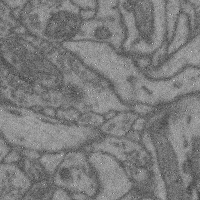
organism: Mouse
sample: Cerebral cortex